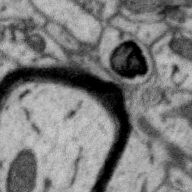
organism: Zebra finch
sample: Brain